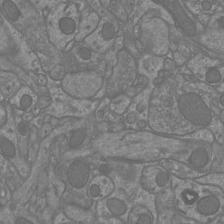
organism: Mouse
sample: Cortical neurons